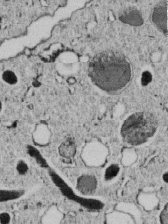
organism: C. elegans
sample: C. elegans embryo early stage